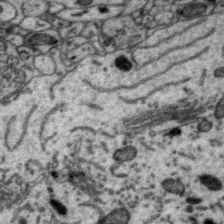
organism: Zebra finch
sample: Brain